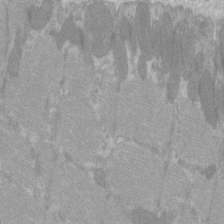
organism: C57BL Mouse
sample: Tibialis anterior muscle cell